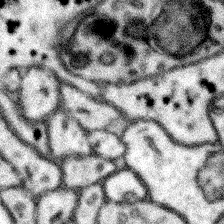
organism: Mouse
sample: Somatosensory cortex neuropil